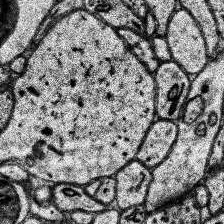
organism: Human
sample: Temporal Lobe